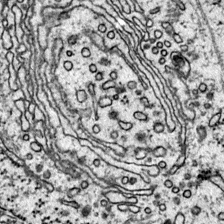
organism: Mouse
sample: Primary visual cortex